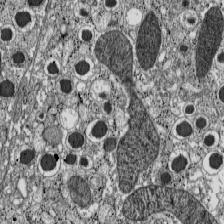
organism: C57BL Mouse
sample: Pancreatic islet